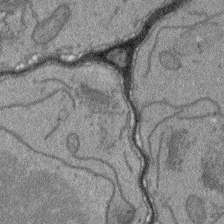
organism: Arabidopsis thaliana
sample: Root tip